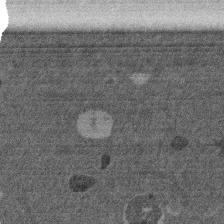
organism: Mouse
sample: Dividing mouse embryo 1 cell stage